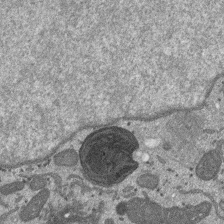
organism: Human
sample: Lung epithelial cells infected with SARS-CoV-2